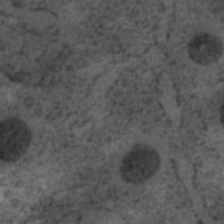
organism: C. elegans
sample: C. elegans embryo